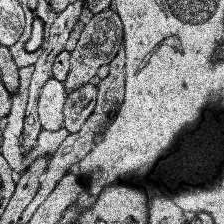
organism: Human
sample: Temporal Lobe